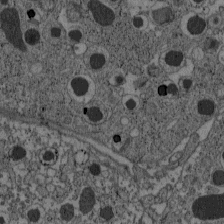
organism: C57BL Mouse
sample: Pancreatic islet